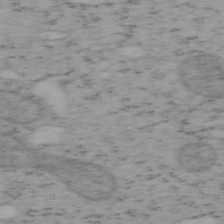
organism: Mouse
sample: OT-I killer T cells with ID8 ovarian cancer cells